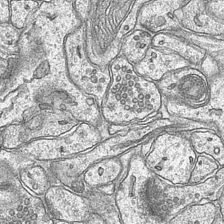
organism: Mouse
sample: CA1 Hippocampus